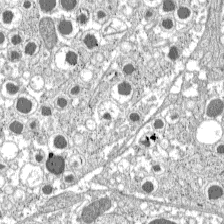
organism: C57BL Mouse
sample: Pancreatic islet